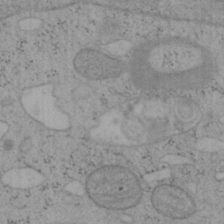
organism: Mouse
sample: OT-I killer T cells with ID8 ovarian cancer cells